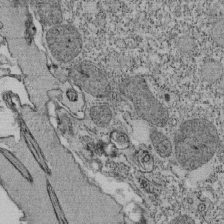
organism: Tetrahymena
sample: Cilia in tetrahymena